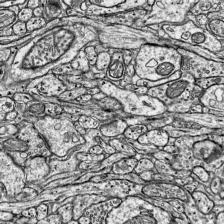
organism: Mouse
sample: Visual Cortex